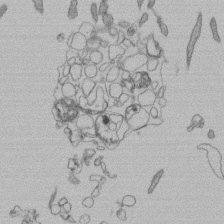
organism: Human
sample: Retinal organoid Rod and Cone cells